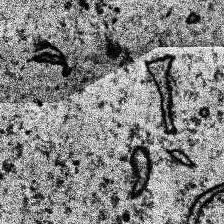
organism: Human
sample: Temporal Lobe